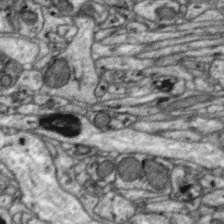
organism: Zebra finch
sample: Brain